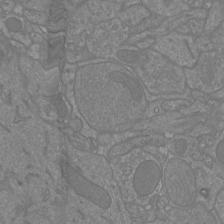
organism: Mouse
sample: Cortical neurons